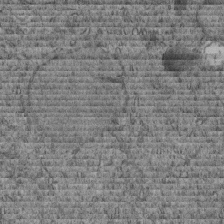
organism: C. elegans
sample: C. elegans embryo early stage